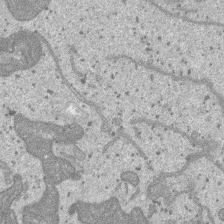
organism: Human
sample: Lung epithelial cells infected with SARS-CoV-2